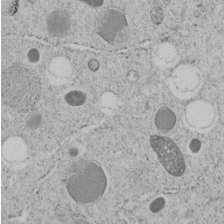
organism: C. elegans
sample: C. elegans embryo early stage